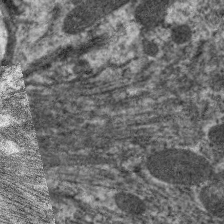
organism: C. elegans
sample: Pharynx